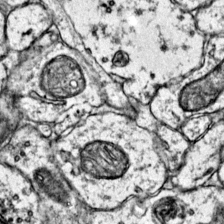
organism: Mouse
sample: Primary visual cortex